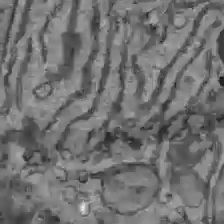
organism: C57BL Mouse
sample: Liver